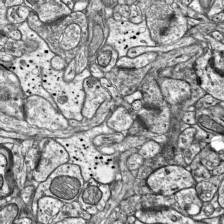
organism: Mouse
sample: Visual Cortex